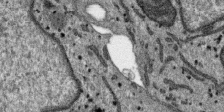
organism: Human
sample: Lung epithelial cells, uninfected (mock) control